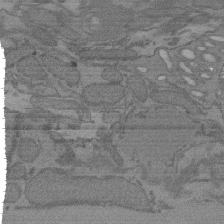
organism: C. elegans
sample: AFD neurons C. elegans